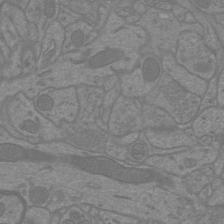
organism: Mouse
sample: Cortical neurons